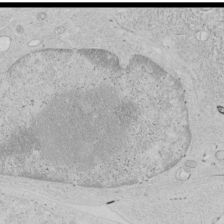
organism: Human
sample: Mitochondria in HCT116 cells